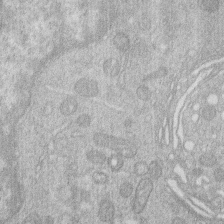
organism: Human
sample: Macrophage cells